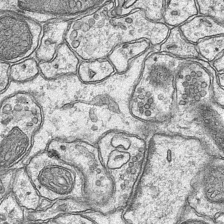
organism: Mouse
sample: CA1 Hippocampus